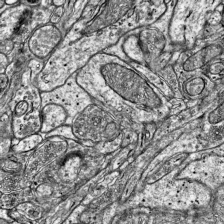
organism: Mouse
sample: Visual Cortex